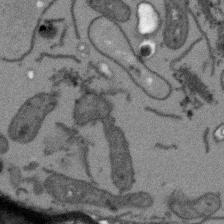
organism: Arabidopsis thaliana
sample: Root tip